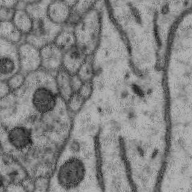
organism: Zebra finch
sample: Brain